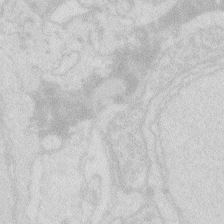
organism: Zebrafish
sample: Macrophage